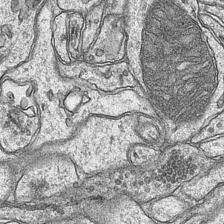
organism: Mouse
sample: CA1 Hippocampus